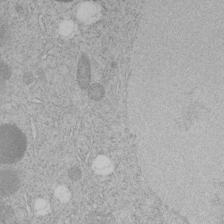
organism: C. elegans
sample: C. elegans embryo early stage